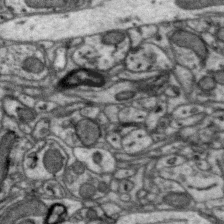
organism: Zebra finch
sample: Brain